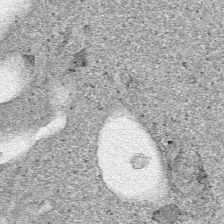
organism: Human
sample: Mitochondria in HCT116 cells